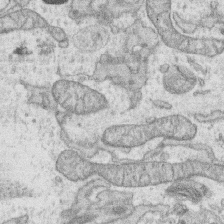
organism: Human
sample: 1205lu cells